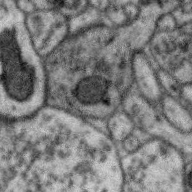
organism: Zebra finch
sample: Brain